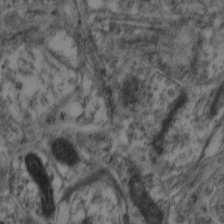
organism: Mouse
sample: Neocortex